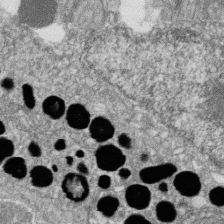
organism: Zebrafish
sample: Cilia; retinal pigment epithelium